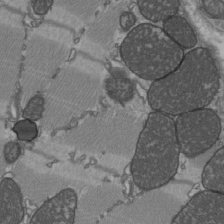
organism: C57BL Mouse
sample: Heart